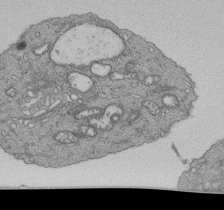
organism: Human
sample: Retinal organoid Rod and Cone cells